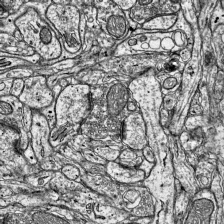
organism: Mouse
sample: Visual Cortex